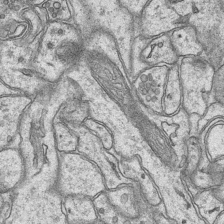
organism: Mouse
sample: CA1 Hippocampus